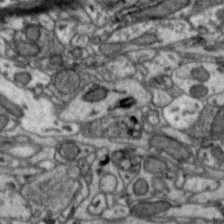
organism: Zebra finch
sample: Brain